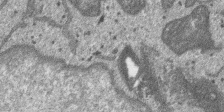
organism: Human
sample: Lung epithelial cells infected with SARS-CoV-2